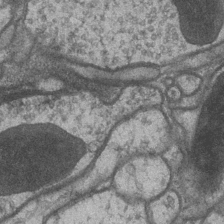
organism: Drosophila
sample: Optic medulla